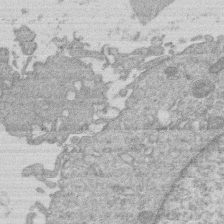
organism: Human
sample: Macrophage cells